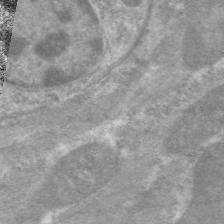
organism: C. elegans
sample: Pharynx